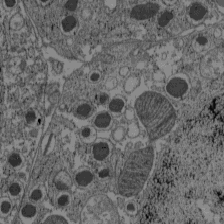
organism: C57BL Mouse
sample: Pancreatic islet